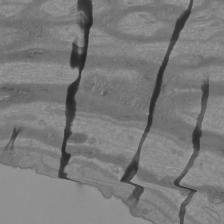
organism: Mouse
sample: Cortical neurons